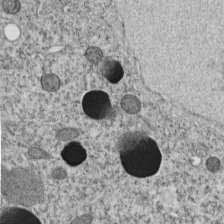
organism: C. elegans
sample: C. elegans embryo early stage